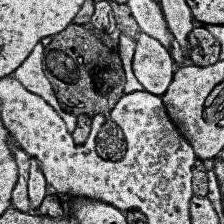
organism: Human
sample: Temporal Lobe